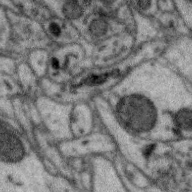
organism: Zebra finch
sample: Brain